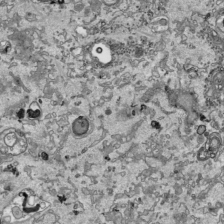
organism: Human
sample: Mitochondria in HCT116 cells